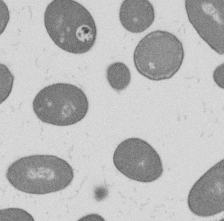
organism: B. subtilis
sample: Bacterial spore